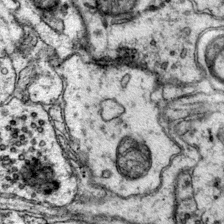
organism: Mouse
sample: Primary visual cortex